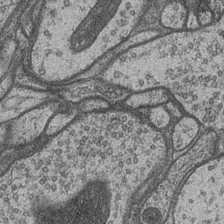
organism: Drosophila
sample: Optic medulla